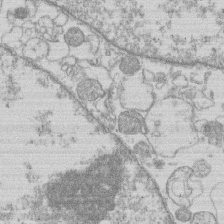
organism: Human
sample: Macrophage cells